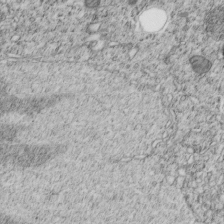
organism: C. elegans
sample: C. elegans embryo early stage